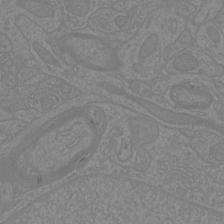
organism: Mouse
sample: Cortical neurons